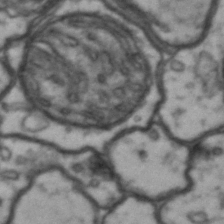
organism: Drosophila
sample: Brain